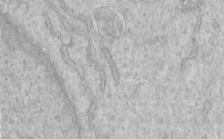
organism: Human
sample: Centriole in RPE cells